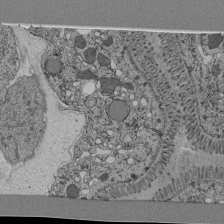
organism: C. elegans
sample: C. elegans pharynx